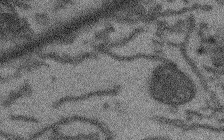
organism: Arabidopsis thaliana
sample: Root tip